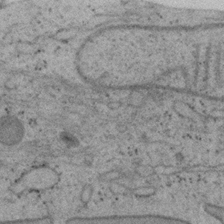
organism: Human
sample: HeLa cells